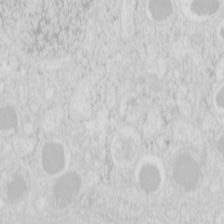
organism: Mouse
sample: Pancreas